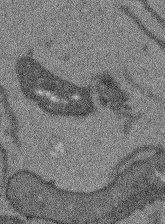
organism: Arabidopsis thaliana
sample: Root tip